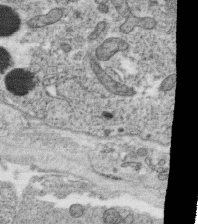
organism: C. elegans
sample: C. elegans oocyte; sperm cells